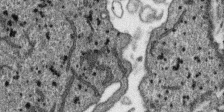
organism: Human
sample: Lung epithelial cells infected with SARS-CoV-2